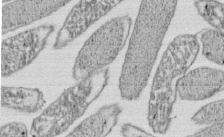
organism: E. coli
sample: Bacterial nucleoid